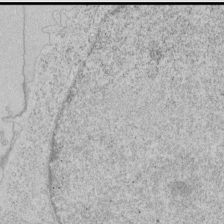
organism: Human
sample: Mitochondria in HCT116 cells